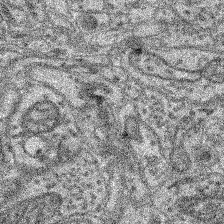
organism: Mouse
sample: Retina